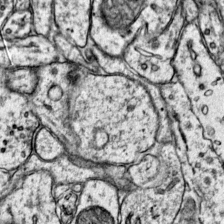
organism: Mouse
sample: Primary visual cortex